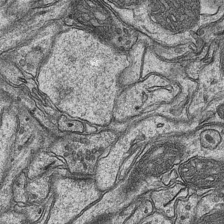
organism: Mouse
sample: CA1 Hippocampus